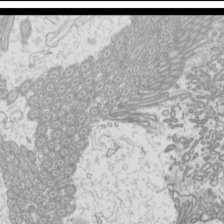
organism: Mouse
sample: Cilia; mouse epididymis